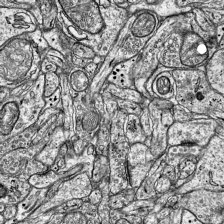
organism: Mouse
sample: Visual Cortex